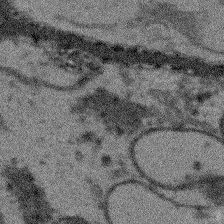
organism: Arabidopsis thaliana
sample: Root tip